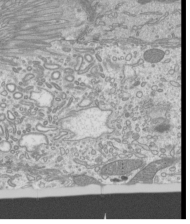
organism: Mouse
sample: Cilia; mouse epididymis